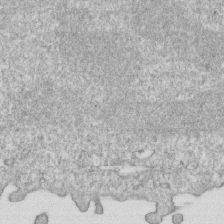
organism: Mouse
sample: Activated OT-1 CD8+ T cells